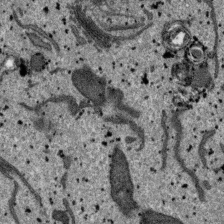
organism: Human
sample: Lung epithelial cells, uninfected (mock) control